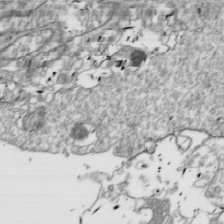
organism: Drosophila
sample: Cell division; meiosis; drosophila spermatocytes